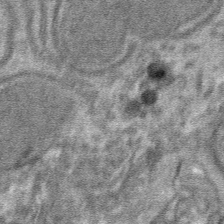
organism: Mouse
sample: Mouse hepatocytes